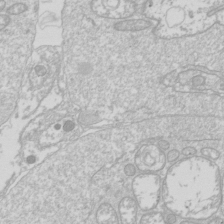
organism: Drosophila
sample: Cell division; meiosis; drosophila spermatocytes